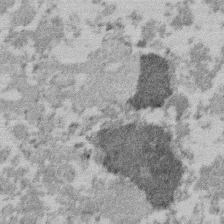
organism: Mouse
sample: Dividing mouse embryo 1 cell stage